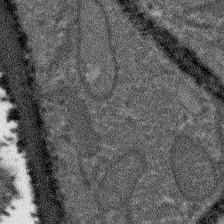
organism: Arabidopsis thaliana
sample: Root tip